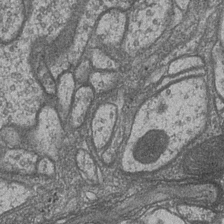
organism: Drosophila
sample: Optic medulla